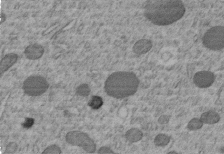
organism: C. elegans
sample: C. elegans embryo early stage